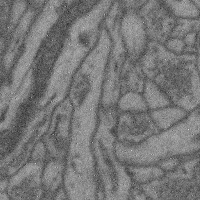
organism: Mouse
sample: Cerebral cortex